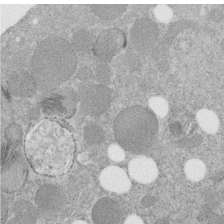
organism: C. elegans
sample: C. elegans embryo early stage